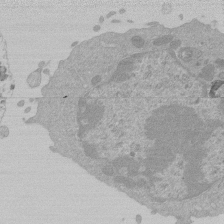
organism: Mouse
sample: Activated Pmel transgenic CD8+ T Cells